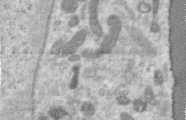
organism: Human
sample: Centriole in RPE cells